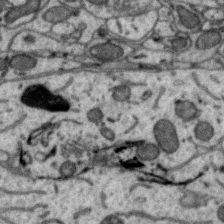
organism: Zebra finch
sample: Brain